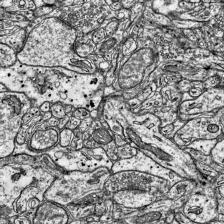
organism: Mouse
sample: Visual Cortex